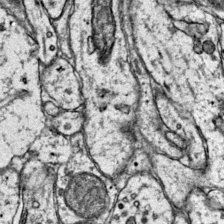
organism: Mouse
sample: Primary visual cortex